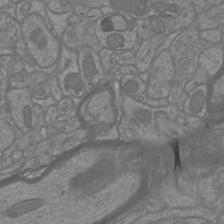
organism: Mouse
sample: Cortical neurons